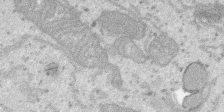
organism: Human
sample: Lung epithelial cells infected with SARS-CoV-2